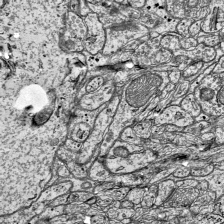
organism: Mouse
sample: Visual Cortex